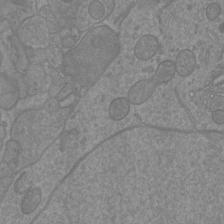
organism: Mouse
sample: Cortical neurons